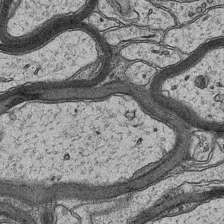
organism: Mouse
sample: CA1 Hippocampus